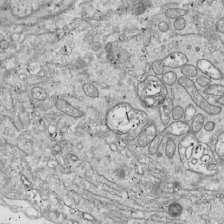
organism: Drosophila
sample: Cell division; meiosis; drosophila spermatocytes